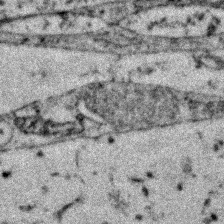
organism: Zebrafish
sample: Zebrafish embryo